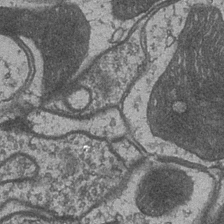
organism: Drosophila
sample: Optic medulla